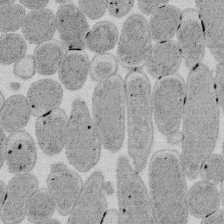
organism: E. coli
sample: Bacterial nucleoid